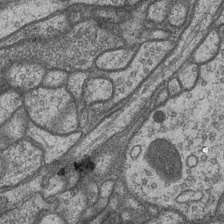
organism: Drosophila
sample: Optic medulla